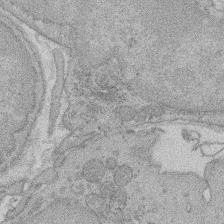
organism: Rat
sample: Salivary granule